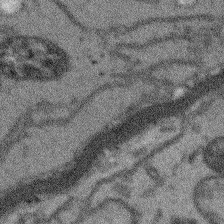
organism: Arabidopsis thaliana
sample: Root tip